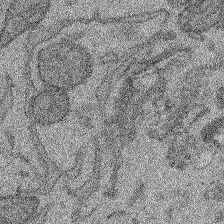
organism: Human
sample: HeLa cells